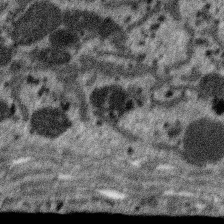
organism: Human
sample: Lung epithelial cells infected with SARS-CoV-2